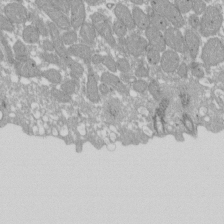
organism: Xenopus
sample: Cilia; centrioles in frog embryo cells